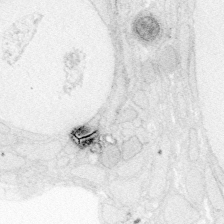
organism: Zebrafish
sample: Whole-Brain